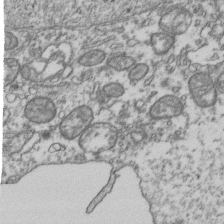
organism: Human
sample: Activated Jurkat CD4+ T cells